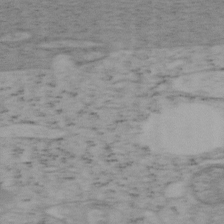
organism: Mouse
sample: OT-I killer T cells with ID8 ovarian cancer cells